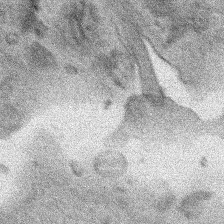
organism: Human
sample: Mitochondria in HCT116 cells